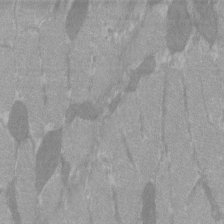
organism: C57BL Mouse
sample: Tibialis anterior muscle cell